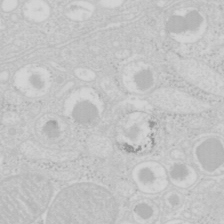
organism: Mouse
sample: Pancreas